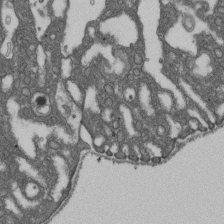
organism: Drosophila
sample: Nephrocyte